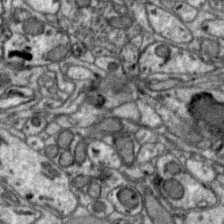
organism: Zebra finch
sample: Brain